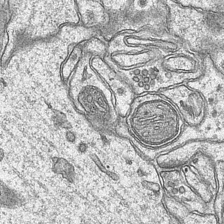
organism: Mouse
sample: CA1 Hippocampus